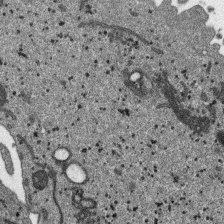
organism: Human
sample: Lung epithelial cells infected with SARS-CoV-2